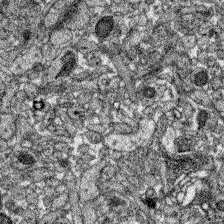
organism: Zebrafish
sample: Larval olfactory bulb